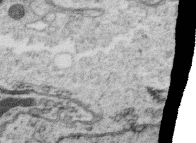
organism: C. elegans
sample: C. elegans oocyte; sperm cells